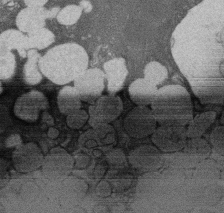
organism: Rat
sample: Salivary granule